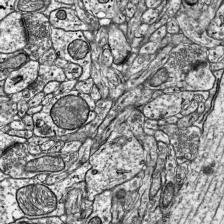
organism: Mouse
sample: Visual Cortex